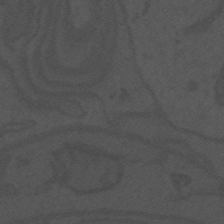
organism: Mouse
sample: Suprachiasmatic nucleus